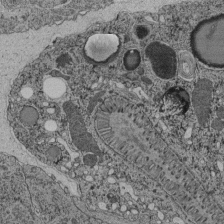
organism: C. elegans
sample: C. elegans pharynx